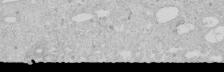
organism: Human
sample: Caco-2 cells